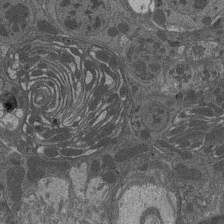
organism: Drosophila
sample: Antenna